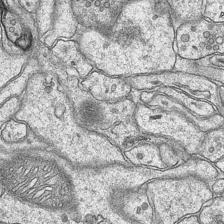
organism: Mouse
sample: CA1 Hippocampus